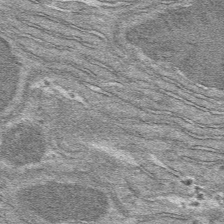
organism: Mouse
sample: Mouse hepatocytes